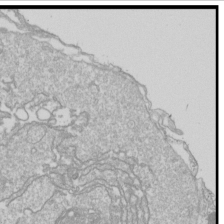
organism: Drosophila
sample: Cell division; meiosis; drosophila spermatocytes